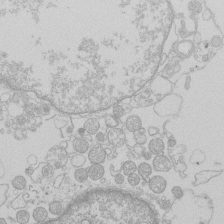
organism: Human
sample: Macrophage cells